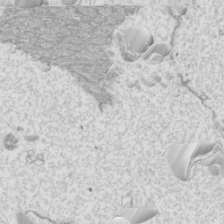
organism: Mouse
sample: Cilia; mouse epididymis